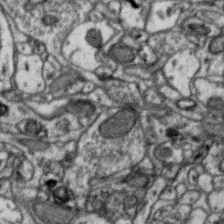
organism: Zebra finch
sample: Brain